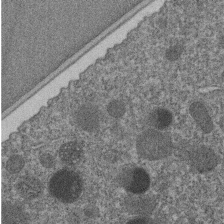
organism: C. elegans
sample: C. elegans embryo early stage